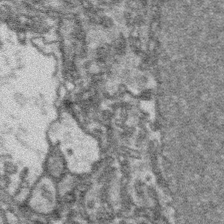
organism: Platynereis dumerilii